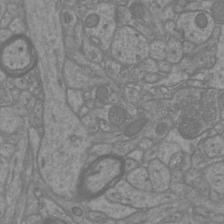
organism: Mouse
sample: Cortical neurons